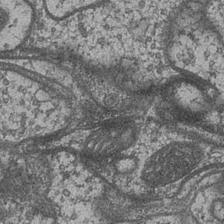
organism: Drosophila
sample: Optic medulla